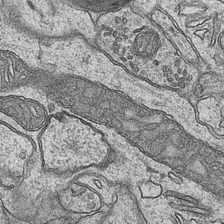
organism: Mouse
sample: CA1 Hippocampus